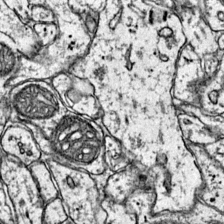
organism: Mouse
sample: Primary visual cortex